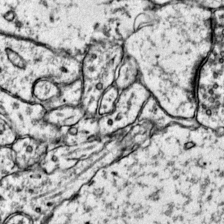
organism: Mouse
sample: Primary visual cortex